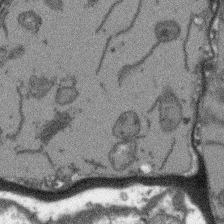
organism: Arabidopsis thaliana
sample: Root tip